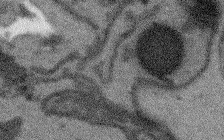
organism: Arabidopsis thaliana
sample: Root tip